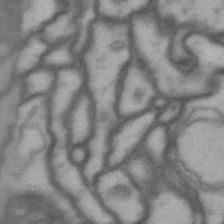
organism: Drosophila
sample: Brain